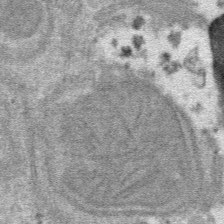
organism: Mouse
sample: Mouse hepatocytes